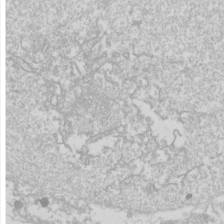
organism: Drosophila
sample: Cell division; meiosis; drosophila spermatocytes